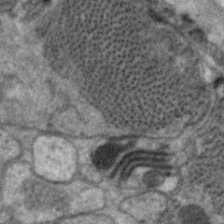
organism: C. elegans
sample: Pharynx